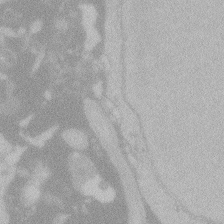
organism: Zebrafish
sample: Macrophage infected with Toxoplasma gondii